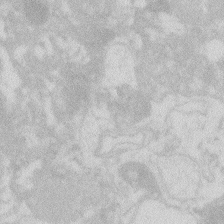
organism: Zebrafish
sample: Macrophage